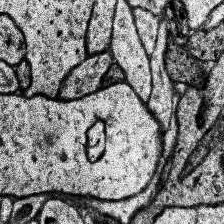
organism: Human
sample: Temporal Lobe